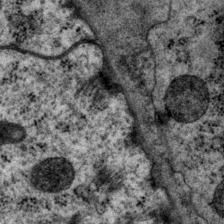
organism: P. pacificus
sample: Pharynx